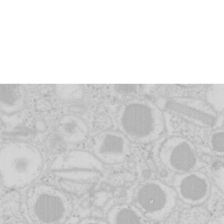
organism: Mouse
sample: Pancreas